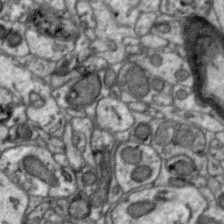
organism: Zebra finch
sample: Brain